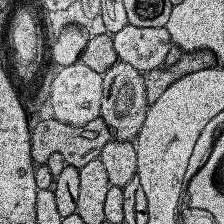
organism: Human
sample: Temporal Lobe